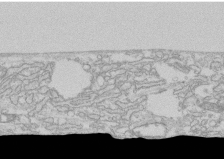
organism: Human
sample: CRL-1474